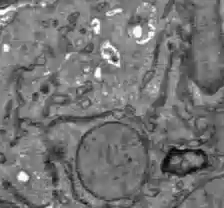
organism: C57BL Mouse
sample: Liver